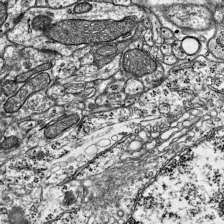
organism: Mouse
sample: Visual Cortex